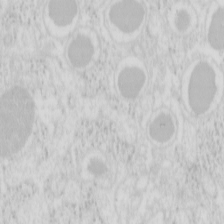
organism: Mouse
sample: Pancreas